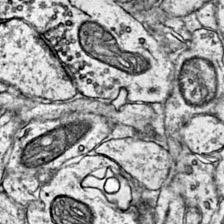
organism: Mouse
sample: Primary visual cortex